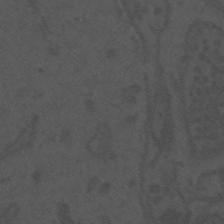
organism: Mouse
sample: Suprachiasmatic nucleus